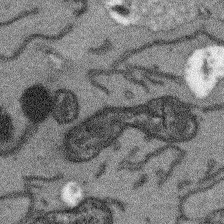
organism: Arabidopsis thaliana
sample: Root tip